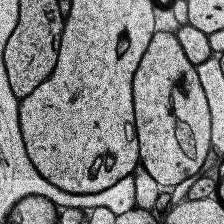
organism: Human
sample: Temporal Lobe